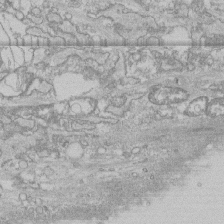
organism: Human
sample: CRL-1474